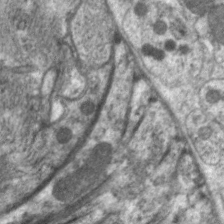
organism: C. elegans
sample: Pharynx